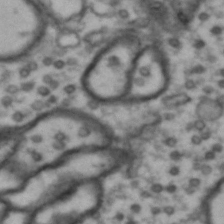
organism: Drosophila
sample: Brain